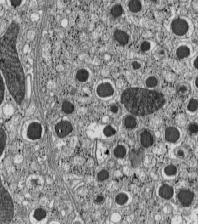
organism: C57BL Mouse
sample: Pancreatic islet